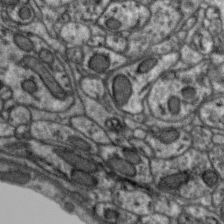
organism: Zebra finch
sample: Brain